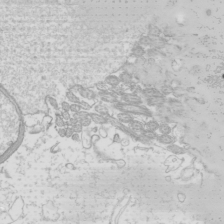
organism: Mouse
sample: Cilia; mouse epididymis